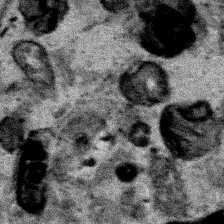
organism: Human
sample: Mitochondria in HCT116 cells